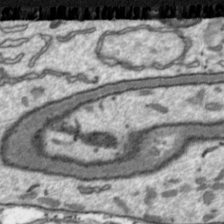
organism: Toxoplasma gondii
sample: Parasites in a vacuole inside a host cell